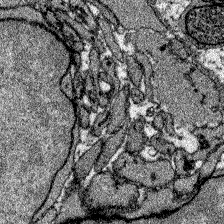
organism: Zebrafish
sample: Larval olfactory bulb